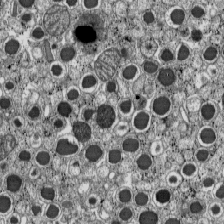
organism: C57BL Mouse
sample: Pancreatic islet